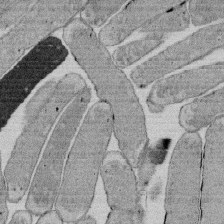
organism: E. coli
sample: Bacterial nucleoid